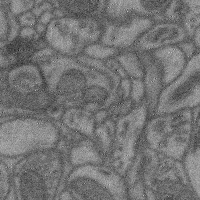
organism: Mouse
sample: Cerebral cortex